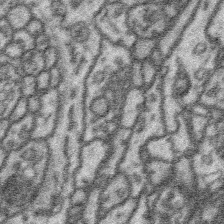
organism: Platynereis dumerilii